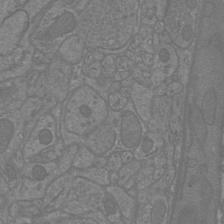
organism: Mouse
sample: Cortical neurons